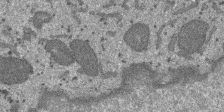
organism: Human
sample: Lung epithelial cells infected with SARS-CoV-2